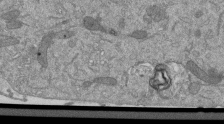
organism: Mouse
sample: ED-1 cell nuclei; centrioles